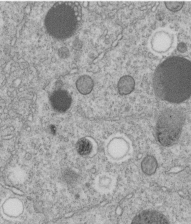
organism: C. elegans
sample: C. elegans embryo early stage